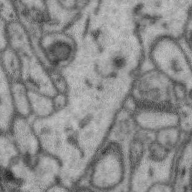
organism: Zebra finch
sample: Brain